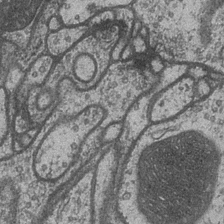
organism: Drosophila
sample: Optic medulla